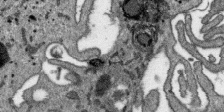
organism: Human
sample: Lung epithelial cells, uninfected (mock) control